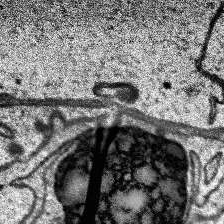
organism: Human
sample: Temporal Lobe